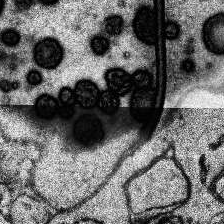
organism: Human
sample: Temporal Lobe